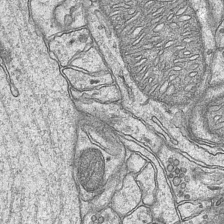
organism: Mouse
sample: CA1 Hippocampus